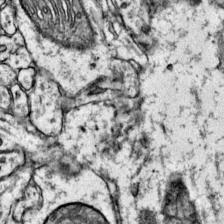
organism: Mouse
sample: Primary visual cortex